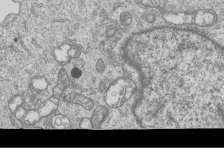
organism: Human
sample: MDA-MB-231 cells